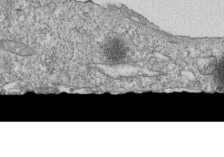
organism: Human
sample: HeLa cell HIV synapse